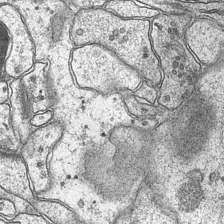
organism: Mouse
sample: CA1 Hippocampus